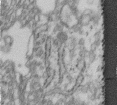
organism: Human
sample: Centriole in fibroblast cells